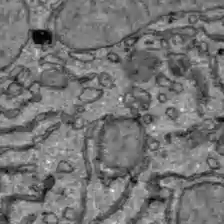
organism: C57BL Mouse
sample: Liver